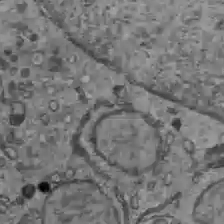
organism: C57BL Mouse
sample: Liver